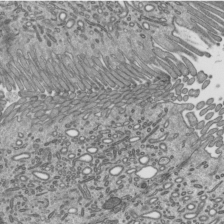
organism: Mouse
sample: Mouse epididymis efferent ductule cilia